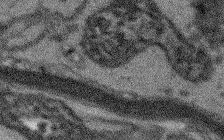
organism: Arabidopsis thaliana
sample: Root tip